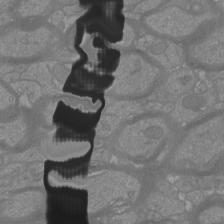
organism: Mouse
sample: Cortical neurons